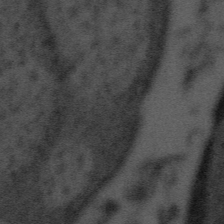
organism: Tuwongella immobilis